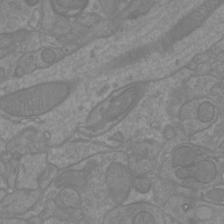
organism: Mouse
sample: Cortical neurons